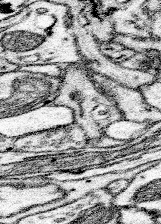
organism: Mouse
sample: Somatosensory cortex neuropil